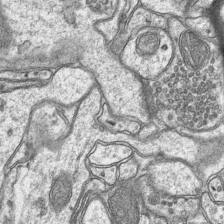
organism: Mouse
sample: CA1 Hippocampus